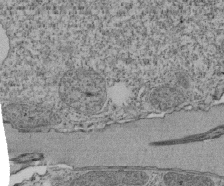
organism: Tetrahymena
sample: Cilia in tetrahymena